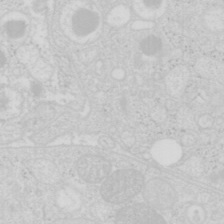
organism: Mouse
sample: Pancreas